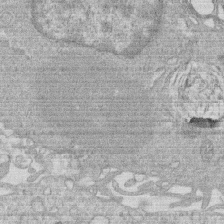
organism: Human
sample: Macrophage cells